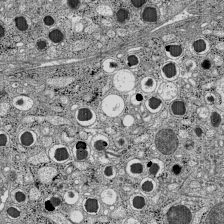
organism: C57BL Mouse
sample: Pancreatic islet